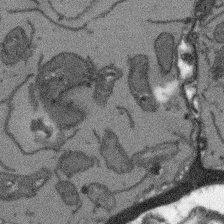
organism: Arabidopsis thaliana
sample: Root tip